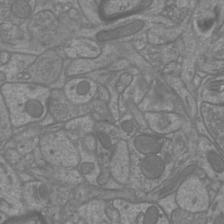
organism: Mouse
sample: Cortical neurons